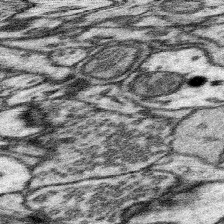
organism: Mouse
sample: Somatosensory cortex neuropil